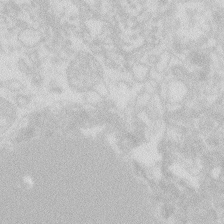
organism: Zebrafish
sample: Macrophage